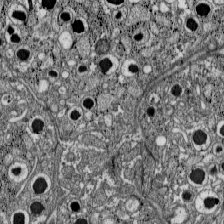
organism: C57BL Mouse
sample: Pancreatic islet